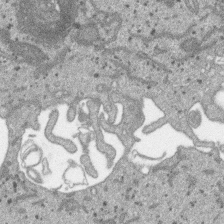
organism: Human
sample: Lung epithelial cells infected with SARS-CoV-2